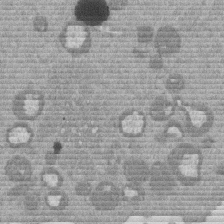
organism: Mouse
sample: Dividing mouse embryo 1 cell stage